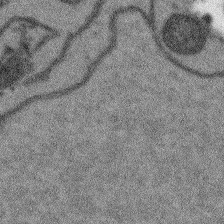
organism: Arabidopsis thaliana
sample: Root tip